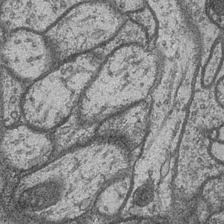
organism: Drosophila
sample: Optic medulla